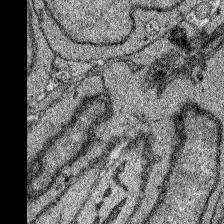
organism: Zebrafish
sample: Larval olfactory bulb